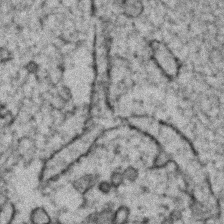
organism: Zebrafish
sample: Zebrafish embryo